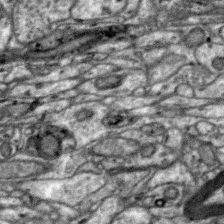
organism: Zebra finch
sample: Brain